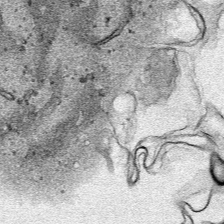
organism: Human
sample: Mitochondria in HCT116 cells